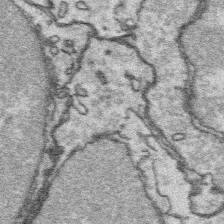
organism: Platynereis dumerilii